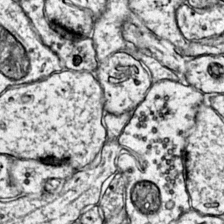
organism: Mouse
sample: Primary visual cortex